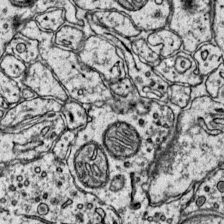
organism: Mouse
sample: Primary visual cortex